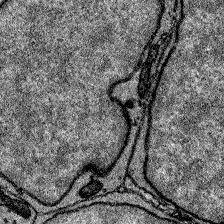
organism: Zebrafish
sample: Larval olfactory bulb